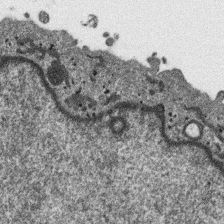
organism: Human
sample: Lung epithelial cells infected with SARS-CoV-2